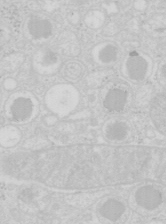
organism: Mouse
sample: Pancreas